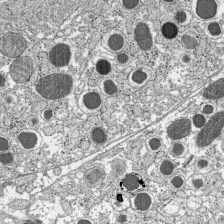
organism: C57BL Mouse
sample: Pancreatic islet